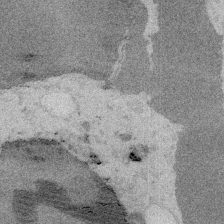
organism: Embia sp.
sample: Silk gland